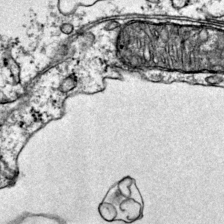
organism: Mouse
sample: Primary visual cortex